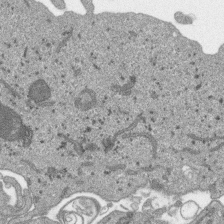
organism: Human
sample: Lung epithelial cells infected with SARS-CoV-2